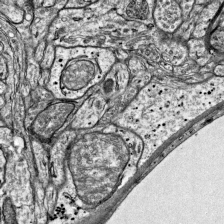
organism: Mouse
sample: Visual Cortex